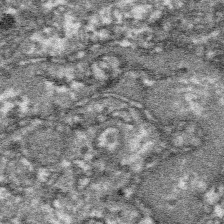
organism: Platynereis dumerilii